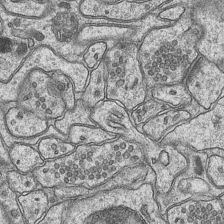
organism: Mouse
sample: CA1 Hippocampus